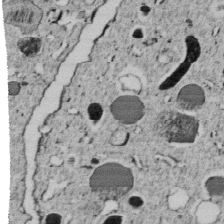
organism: C. elegans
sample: C. elegans embryo early stage